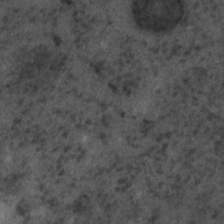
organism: C. elegans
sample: C. elegans embryo